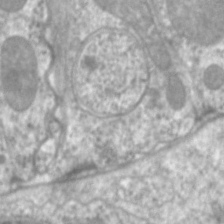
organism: C. elegans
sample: Pharynx